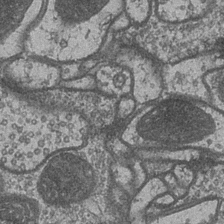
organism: Drosophila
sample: Optic medulla